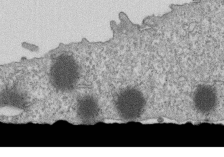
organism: Human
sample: HeLa cell HIV synapse